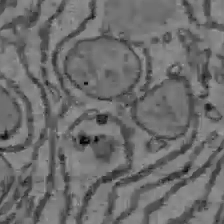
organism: C57BL Mouse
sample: Liver